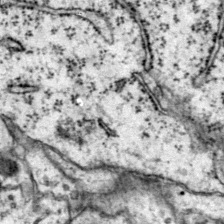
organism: Mouse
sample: Primary visual cortex